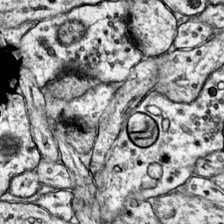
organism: Mouse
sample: Primary visual cortex